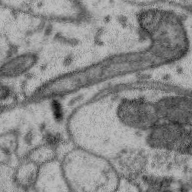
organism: Zebra finch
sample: Brain